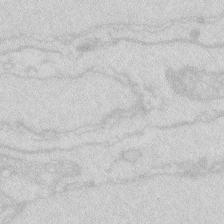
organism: Zebrafish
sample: Macrophage